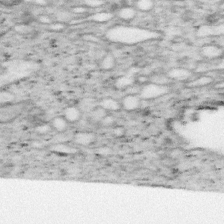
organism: Mouse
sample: OT-I killer T cells with ID8 ovarian cancer cells